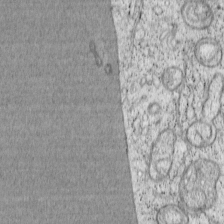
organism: African green monkey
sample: COS-7 cells